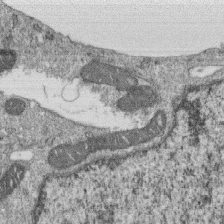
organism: African green monkey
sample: Vero E6 cells infected with SARS-CoV-2